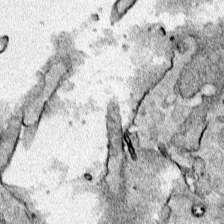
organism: Human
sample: Mitochondria in HCT116 cells